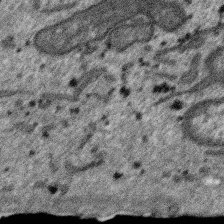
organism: Human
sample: Lung epithelial cells infected with SARS-CoV-2